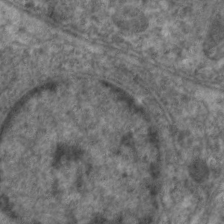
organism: C. elegans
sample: Pharynx